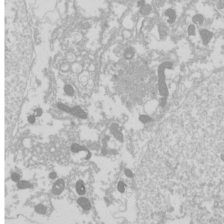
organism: Drosophila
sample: Cell division; meiosis; drosophila spermatocytes